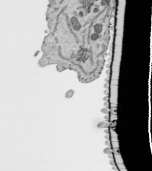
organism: Human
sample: Mitochondria in HCT116 cells